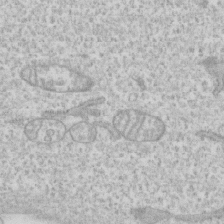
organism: Human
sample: CRL-1474